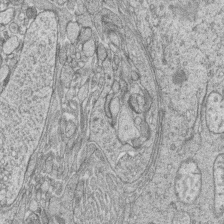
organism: Zebrafish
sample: synaptic ribbons in rod cells and cone cells